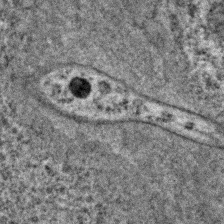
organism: C. elegans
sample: C. elegans embryo